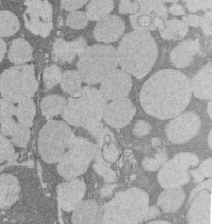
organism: Rat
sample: Salivary granule